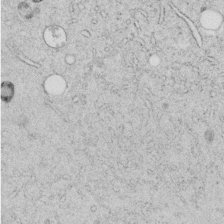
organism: C. elegans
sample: C. elegans embryo early stage